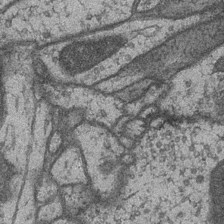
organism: Drosophila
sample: Optic medulla